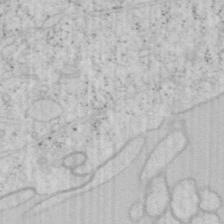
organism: Human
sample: HeLa cells